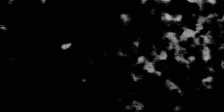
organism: Human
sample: Lung epithelial cells, uninfected (mock) control